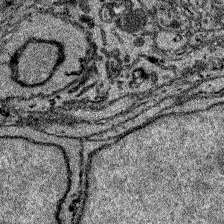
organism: Zebrafish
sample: Larval olfactory bulb